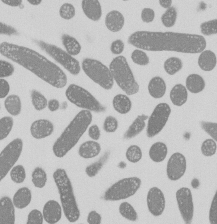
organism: E. coli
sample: Bacterial nucleoid